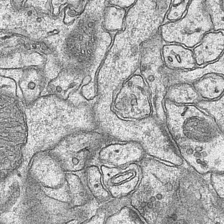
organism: Mouse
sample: CA1 Hippocampus